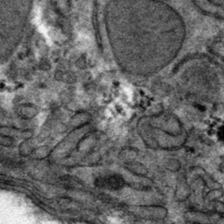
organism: Mouse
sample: Mouse hepatocytes